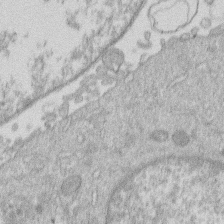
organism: Human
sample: Macrophage cells